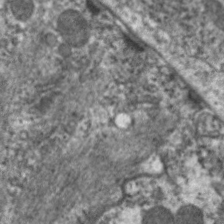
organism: C. elegans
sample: Pharynx